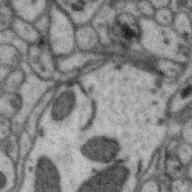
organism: Zebra finch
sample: Brain